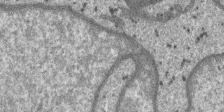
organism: Human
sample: Lung epithelial cells infected with SARS-CoV-2